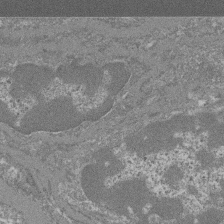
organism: Mouse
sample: Glomerulus